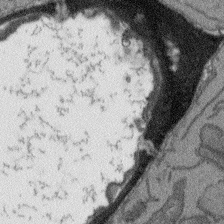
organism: Arabidopsis thaliana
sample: Root tip